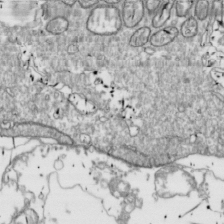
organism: Drosophila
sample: Cell division; meiosis; drosophila spermatocytes